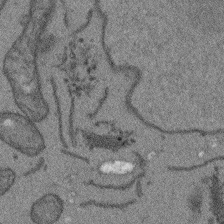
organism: Arabidopsis thaliana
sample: Root tip